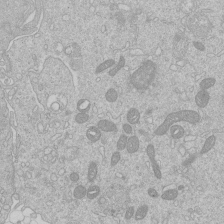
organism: Human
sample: Macrophage cells